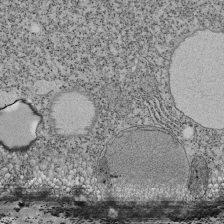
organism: Tetrahymena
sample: Cilia in tetrahymena